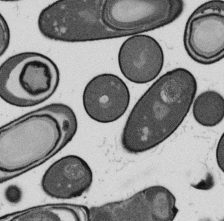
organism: B. subtilis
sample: Bacterial spore